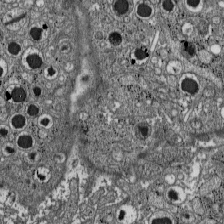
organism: C57BL Mouse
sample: Pancreatic islet